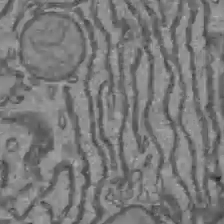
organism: C57BL Mouse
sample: Liver